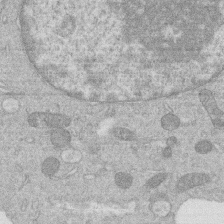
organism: Human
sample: Macrophage cells